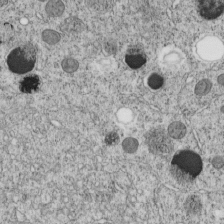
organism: C. elegans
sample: C. elegans embryo early stage